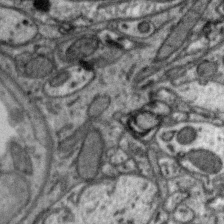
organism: Zebra finch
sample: Brain